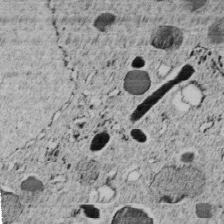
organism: C. elegans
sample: C. elegans embryo early stage